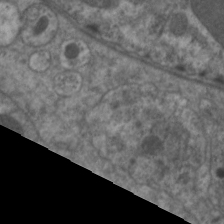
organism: C. elegans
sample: Pharynx